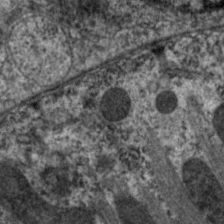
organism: C. elegans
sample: Pharynx